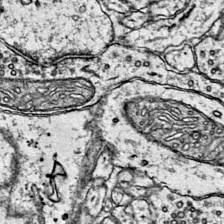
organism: Mouse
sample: Primary visual cortex